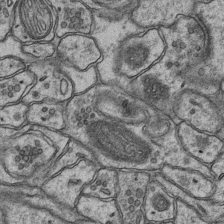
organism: Mouse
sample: CA1 Hippocampus